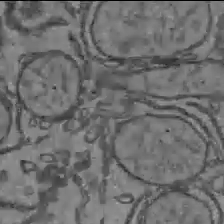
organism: C57BL Mouse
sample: Liver